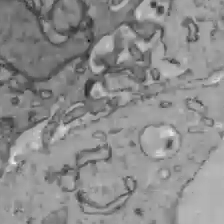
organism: C57BL Mouse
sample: Liver